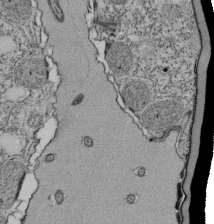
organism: Tetrahymena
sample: Cilia in tetrahymena